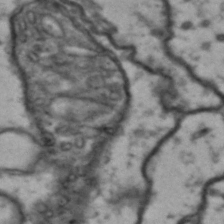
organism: Drosophila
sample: Brain